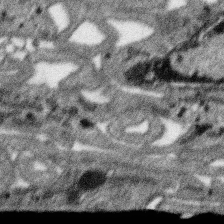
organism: Human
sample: Lung epithelial cells infected with SARS-CoV-2